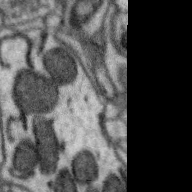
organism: Zebra finch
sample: Brain